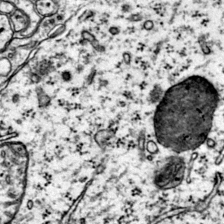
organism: Mouse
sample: Primary visual cortex